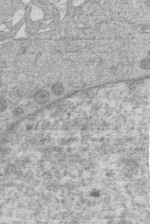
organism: Human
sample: Macrophage cells